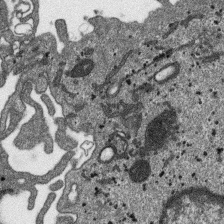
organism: Human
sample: Lung epithelial cells infected with SARS-CoV-2